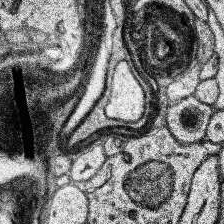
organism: Human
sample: Temporal Lobe